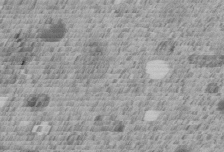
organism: C. elegans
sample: C. elegans embryo early stage